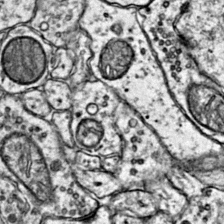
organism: Mouse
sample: Primary visual cortex